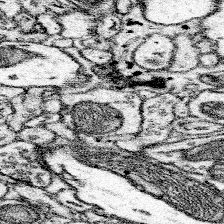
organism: Mouse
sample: Somatosensory cortex neuropil